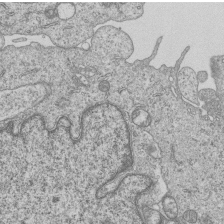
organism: Human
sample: MDA-MB-231 cells